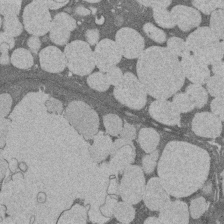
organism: Rat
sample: Salivary granule